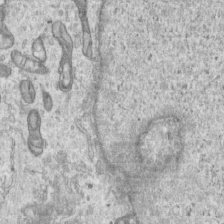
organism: Human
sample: Centriole in RPE cells